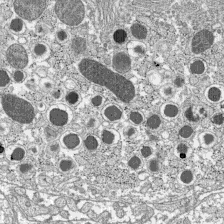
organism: C57BL Mouse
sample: Pancreatic islet